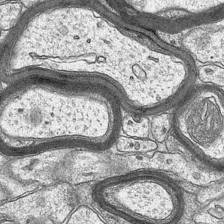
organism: Mouse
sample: CA1 Hippocampus